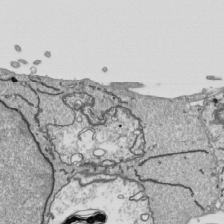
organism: Human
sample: Mitochondria in HCT116 cells